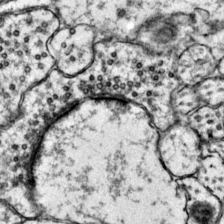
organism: Mouse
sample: Primary visual cortex